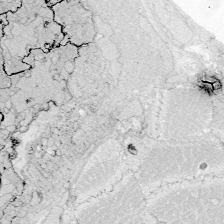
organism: Zebrafish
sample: Whole-Brain